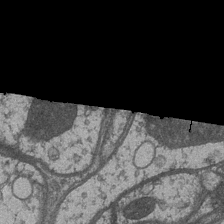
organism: Drosophila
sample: Optic medulla